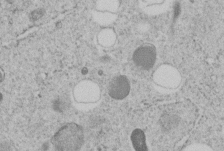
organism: C. elegans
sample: C. elegans embryo early stage